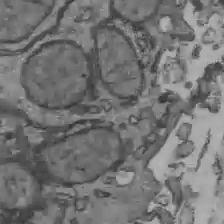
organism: C57BL Mouse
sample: Liver